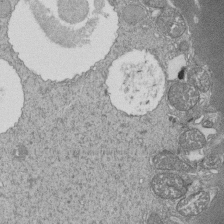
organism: Tetrahymena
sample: Cilia in tetrahymena